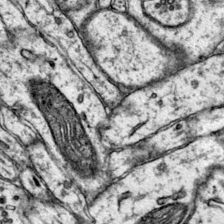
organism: Mouse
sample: Primary visual cortex